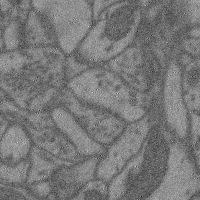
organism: Mouse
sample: Cerebral cortex